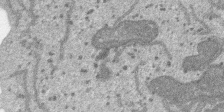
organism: Human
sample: Lung epithelial cells infected with SARS-CoV-2